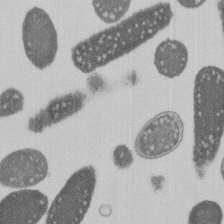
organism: E. coli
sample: Bacterial nucleoid